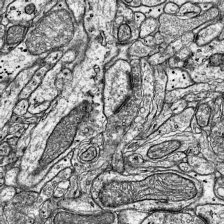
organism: Mouse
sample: Visual Cortex